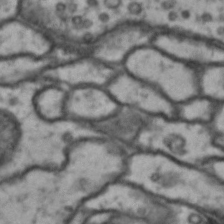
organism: Drosophila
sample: Brain